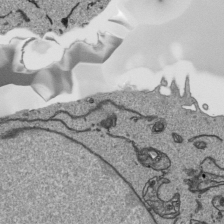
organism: Human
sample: Mitochondria in HCT116 cells